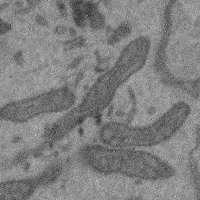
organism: Mouse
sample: Cerebral cortex